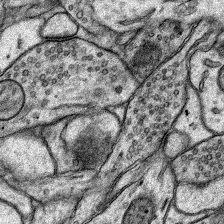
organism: Rat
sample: Hippocampus